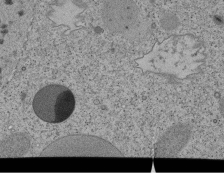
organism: Tetrahymena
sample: Cilia in tetrahymena